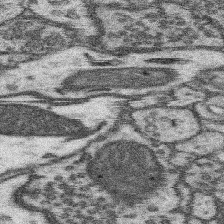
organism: Mouse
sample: Somatosensory cortex neuropil